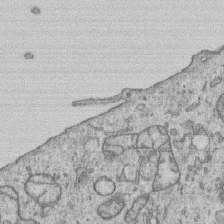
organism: Human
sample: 1205lu cells